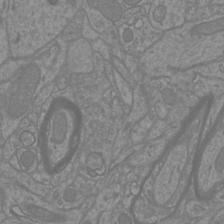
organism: Mouse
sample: Cortical neurons